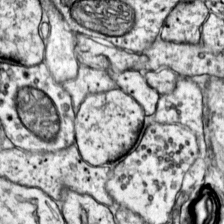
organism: Mouse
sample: Primary visual cortex